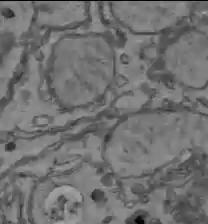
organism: C57BL Mouse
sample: Liver